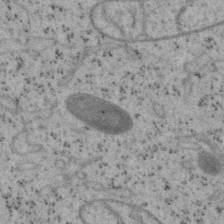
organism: Human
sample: HeLa cells